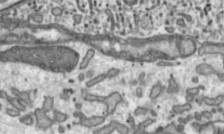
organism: Toxoplasma gondii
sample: Parasites in a vacuole inside a host cell